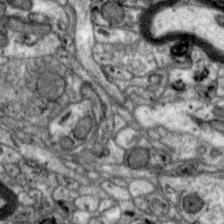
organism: Zebra finch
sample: Brain